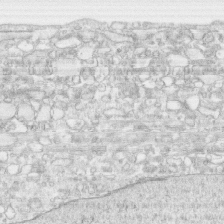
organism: Human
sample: CRL-1474